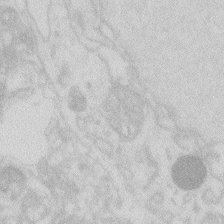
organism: Zebrafish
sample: Macrophage